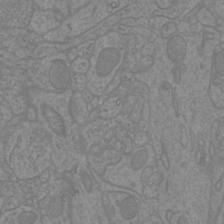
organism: Mouse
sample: Cortical neurons